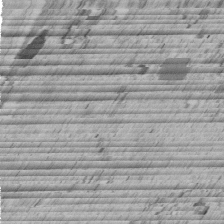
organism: C. elegans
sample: C. elegans embryo early stage